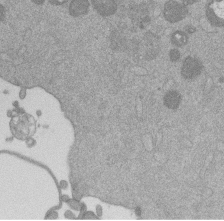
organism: Mouse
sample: Dividing mouse embryo 1 cell stage